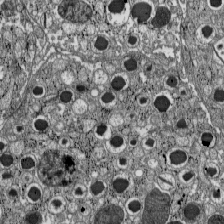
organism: C57BL Mouse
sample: Pancreatic islet